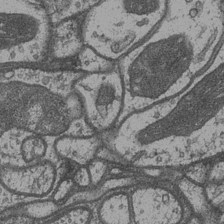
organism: Drosophila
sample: Optic medulla